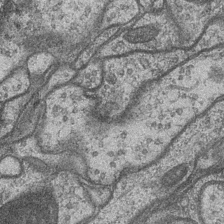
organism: Drosophila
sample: Optic medulla